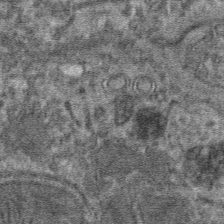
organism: Mouse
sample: Mouse hepatocytes